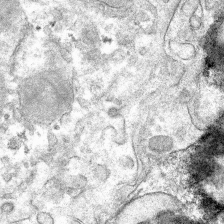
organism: Mouse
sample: Mouse hepatocytes